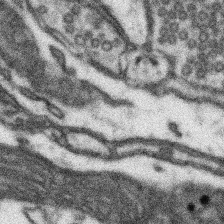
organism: Mouse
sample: Somatosensory cortex neuropil